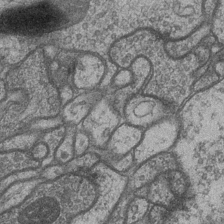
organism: Drosophila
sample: Optic medulla